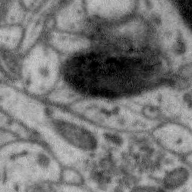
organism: Zebra finch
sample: Brain